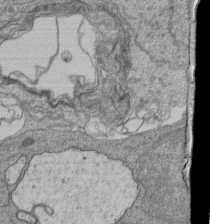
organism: Human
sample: Retinal organoid Rod and Cone cells